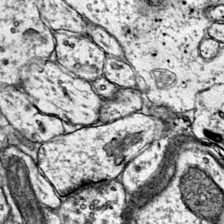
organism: Mouse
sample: Primary visual cortex